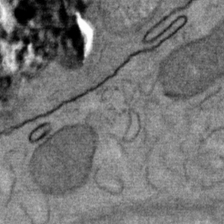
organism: Mouse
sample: Mouse Salivary gland